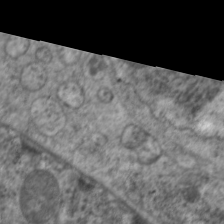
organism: C. elegans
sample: Pharynx